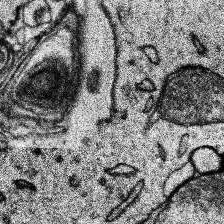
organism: Human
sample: Temporal Lobe